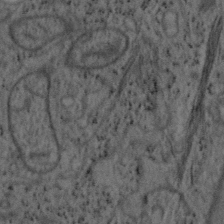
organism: Human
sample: HeLa cells